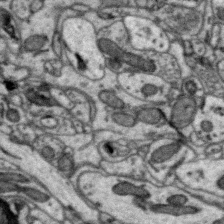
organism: Zebra finch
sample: Brain